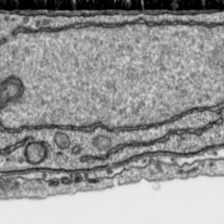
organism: Toxoplasma gondii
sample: Parasites in a vacuole inside a host cell